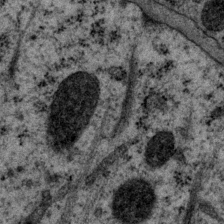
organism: P. pacificus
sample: Pharynx